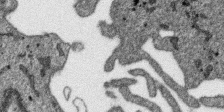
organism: Human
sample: Lung epithelial cells infected with SARS-CoV-2